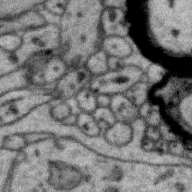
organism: Zebra finch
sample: Brain